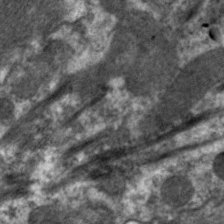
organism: C. elegans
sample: Pharynx